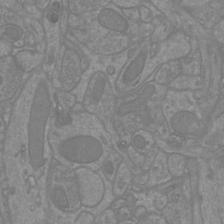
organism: Mouse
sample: Cortical neurons